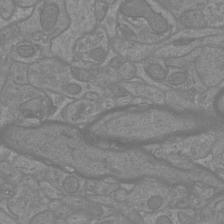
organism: Mouse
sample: Cortical neurons